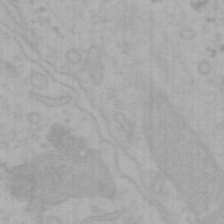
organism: Mouse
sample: Choroid plexus